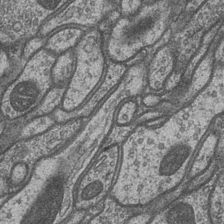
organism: Drosophila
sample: Optic medulla